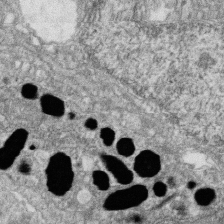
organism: Zebrafish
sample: Cilia; retinal pigment epithelium